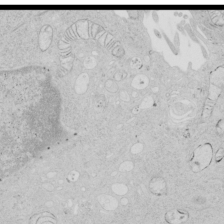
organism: Human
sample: Mitochondria in HCT116 cells